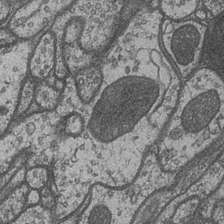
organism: Drosophila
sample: Optic medulla